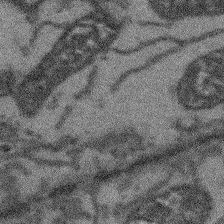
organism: Arabidopsis thaliana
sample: Root tip